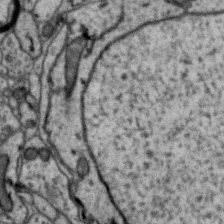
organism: Zebra finch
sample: Brain